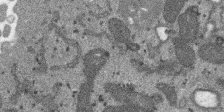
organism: Human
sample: Lung epithelial cells infected with SARS-CoV-2